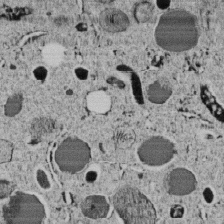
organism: C. elegans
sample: C. elegans embryo early stage